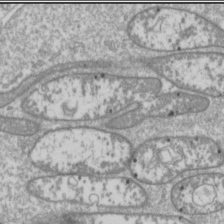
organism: Drosophila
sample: Cell division; meiosis; drosophila spermatocytes